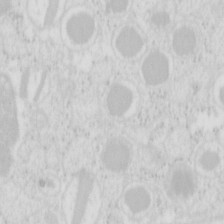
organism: Mouse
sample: Pancreas